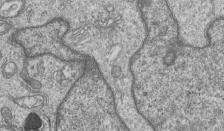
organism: Human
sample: MDA-MB-231 cells